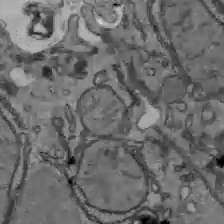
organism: C57BL Mouse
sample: Liver